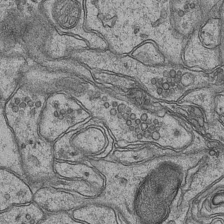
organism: Mouse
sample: CA1 Hippocampus